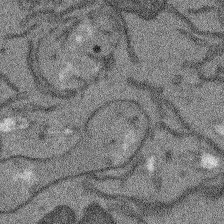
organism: Arabidopsis thaliana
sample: Root tip